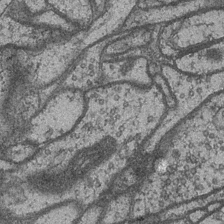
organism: Drosophila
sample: Optic medulla